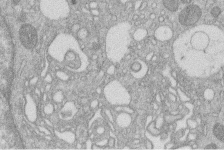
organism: Human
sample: Macrophage cells